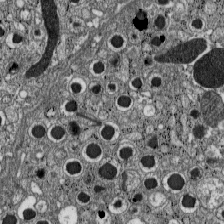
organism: C57BL Mouse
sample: Pancreatic islet